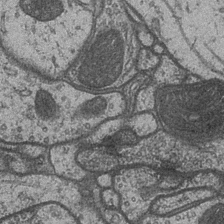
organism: Drosophila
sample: Optic medulla